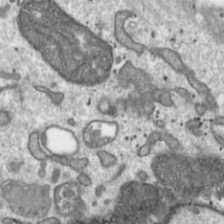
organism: Toxoplasma gondii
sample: Parasites in a vacuole inside a host cell